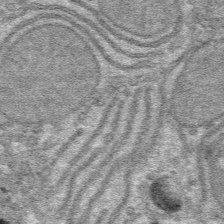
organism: Mouse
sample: Mouse hepatocytes